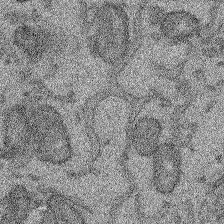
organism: Human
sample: HeLa cells